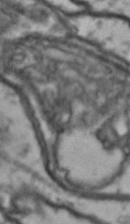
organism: Drosophila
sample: Brain